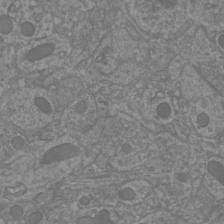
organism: Mouse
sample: Cortical neurons